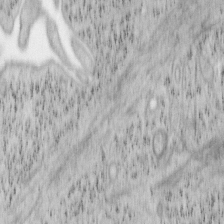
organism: Human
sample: HeLa cells